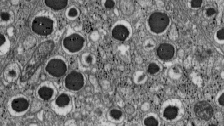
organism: C57BL Mouse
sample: Pancreatic islet